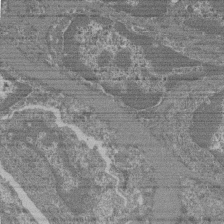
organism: Mouse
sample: Glomerulus